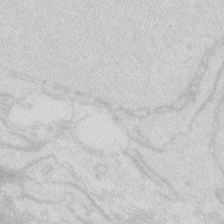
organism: Zebrafish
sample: Macrophage